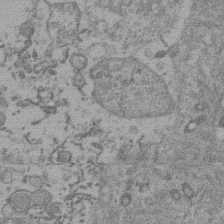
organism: Mouse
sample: Dividing mouse embryo 1 cell stage